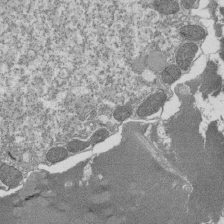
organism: Tetrahymena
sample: Cilia in tetrahymena